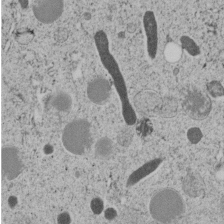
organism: C. elegans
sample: C. elegans embryo early stage